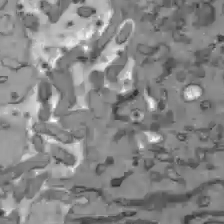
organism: C57BL Mouse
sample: Liver